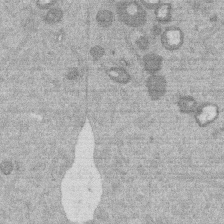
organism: Mouse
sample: Dividing mouse embryo 1 cell stage